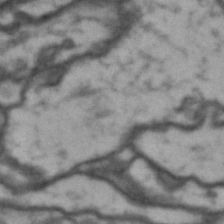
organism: Drosophila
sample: Brain